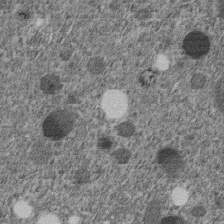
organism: C. elegans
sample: C. elegans embryo early stage